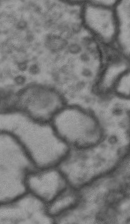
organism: Drosophila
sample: Brain